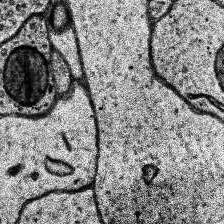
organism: Human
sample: Temporal Lobe